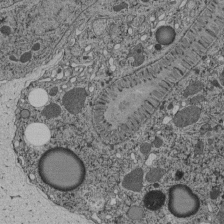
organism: C. elegans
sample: C. elegans pharynx